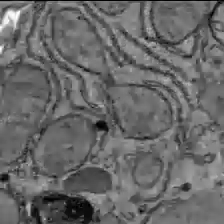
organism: C57BL Mouse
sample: Liver